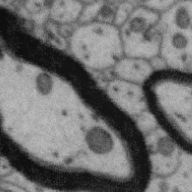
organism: Zebra finch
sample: Brain